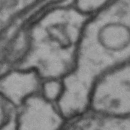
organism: Drosophila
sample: Brain